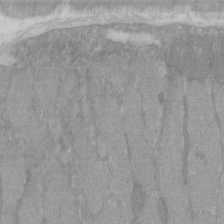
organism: C57BL Mouse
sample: Tibialis anterior muscle cell